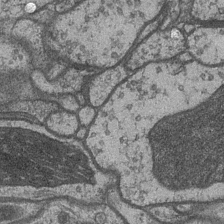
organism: Drosophila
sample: Optic medulla